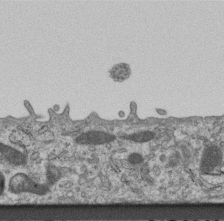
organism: Mouse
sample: Centriole in ependymal cells